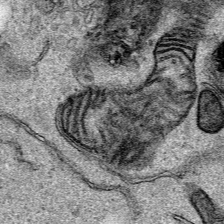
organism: Human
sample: Mitochondria in HCT116 cells